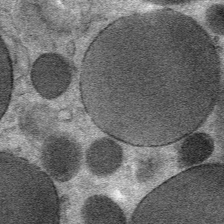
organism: Mouse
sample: Mouse Salivary gland